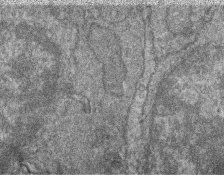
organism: Zebrafish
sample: Cilia; retinal pigment epithelium